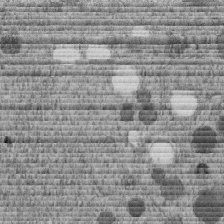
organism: C. elegans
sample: C. elegans embryo early stage